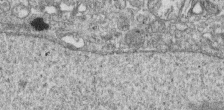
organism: Human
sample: HeLa cell HIV synapse